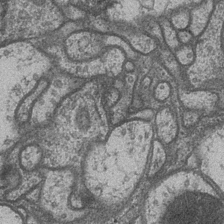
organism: Drosophila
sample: Optic medulla